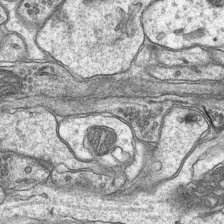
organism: Mouse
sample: CA1 Hippocampus